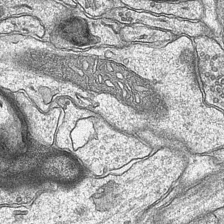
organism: Mouse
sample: CA1 Hippocampus